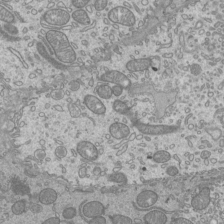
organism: Mouse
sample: Cilia; mouse epididymis